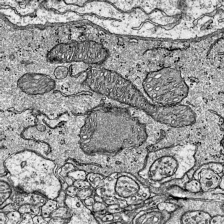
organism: Mouse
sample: Visual Cortex